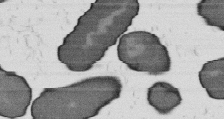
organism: B. subtilis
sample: Bacterial spore